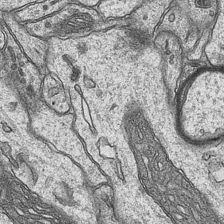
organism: Mouse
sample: CA1 Hippocampus